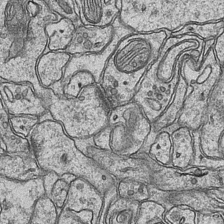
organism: Mouse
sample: CA1 Hippocampus